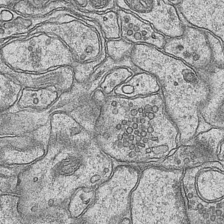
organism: Mouse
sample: CA1 Hippocampus